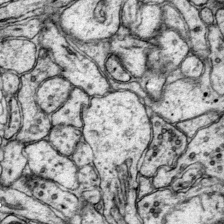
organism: Mouse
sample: Primary visual cortex